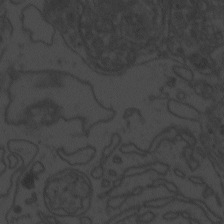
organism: Zebrafish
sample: Macrophage infected with Toxoplasma gondii